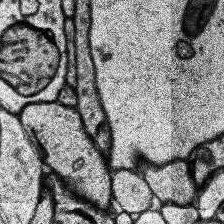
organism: Human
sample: Temporal Lobe